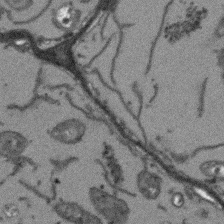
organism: Arabidopsis thaliana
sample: Root tip